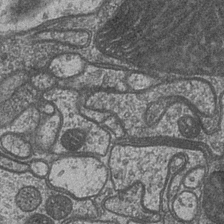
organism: Drosophila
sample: Optic medulla